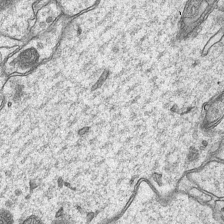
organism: Mouse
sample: CA1 Hippocampus